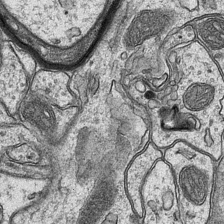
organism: Mouse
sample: CA1 Hippocampus